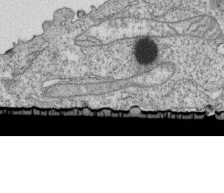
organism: Human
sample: HeLa cell HIV synapse